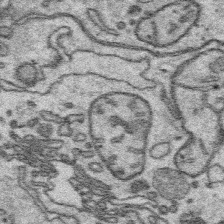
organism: Platynereis dumerilii